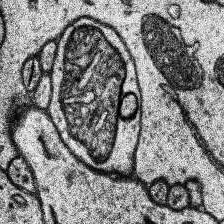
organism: Human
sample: Temporal Lobe